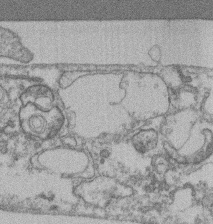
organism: Mouse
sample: T cell stromal cell synapse